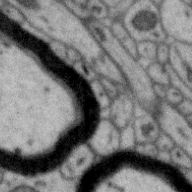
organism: Zebra finch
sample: Brain